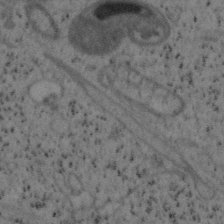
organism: Human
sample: HeLa cells